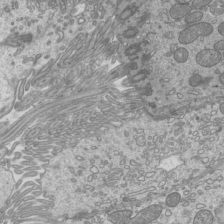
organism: Mouse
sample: Cilia; mouse epididymis